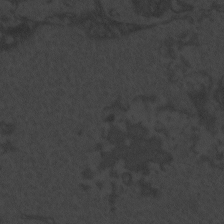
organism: Zebrafish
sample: Macrophage infected with Toxoplasma gondii